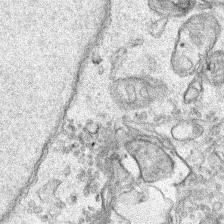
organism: Human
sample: Mitochondria in HCT116 cells